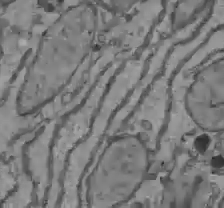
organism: C57BL Mouse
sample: Liver